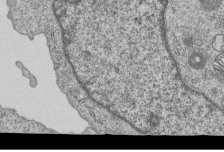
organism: Human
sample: MDA-MB-231 cells